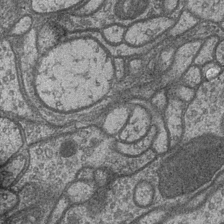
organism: Drosophila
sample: Optic medulla